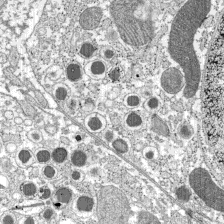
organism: C57BL Mouse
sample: Pancreatic islet